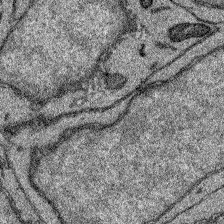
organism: Zebrafish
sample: Larval olfactory bulb